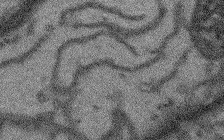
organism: Arabidopsis thaliana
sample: Root tip